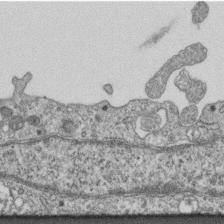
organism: Mouse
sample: Centriole in ependymal cells